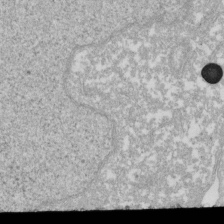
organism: Xenopus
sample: Cilia; centrioles in frog embryo cells